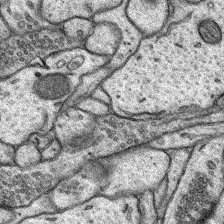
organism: Rat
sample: Hippocampus